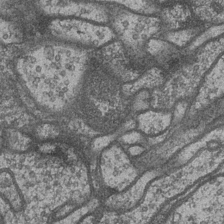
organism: Drosophila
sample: Optic medulla